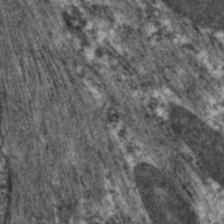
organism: C. elegans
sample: Pharynx